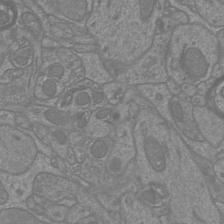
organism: Mouse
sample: Cortical neurons